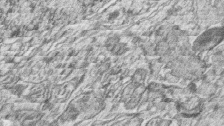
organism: Zebrafish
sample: synaptic ribbons in rod cells and cone cells